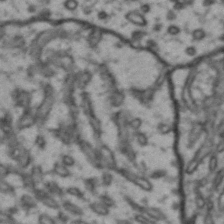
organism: Drosophila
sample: Brain